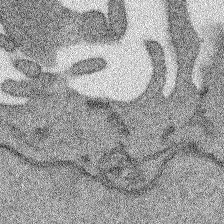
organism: Human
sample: HeLa cells